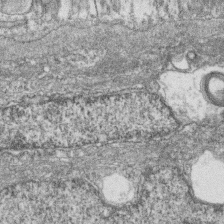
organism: Zebrafish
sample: Cilia; retinal pigment epithelium